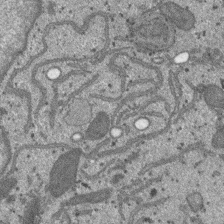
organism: Human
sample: Lung epithelial cells infected with SARS-CoV-2